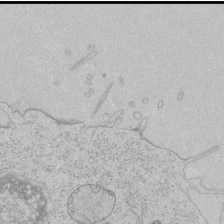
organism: Human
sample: Mitochondria in HCT116 cells